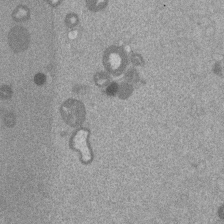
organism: Mouse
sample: Dividing mouse embryo 1 cell stage